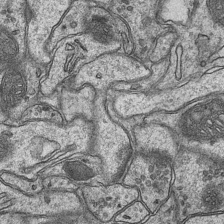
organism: Mouse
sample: CA1 Hippocampus